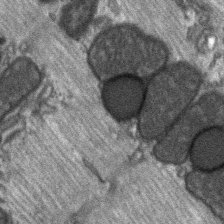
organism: C57BL Mouse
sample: Soleus